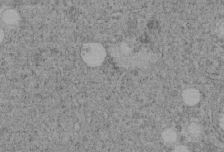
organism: C. elegans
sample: C. elegans embryo early stage